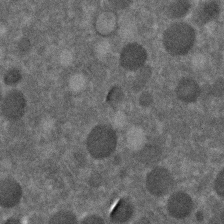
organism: C. elegans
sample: C. elegans embryo